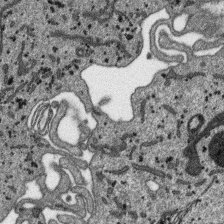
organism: Human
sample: Lung epithelial cells infected with SARS-CoV-2